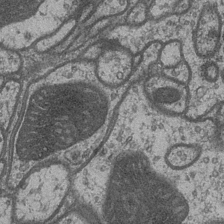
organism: Drosophila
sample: Optic medulla